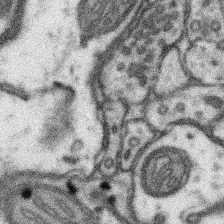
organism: Mouse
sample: Somatosensory cortex neuropil